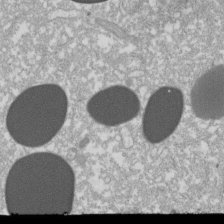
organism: Xenopus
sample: Cilia; centrioles in frog embryo cells